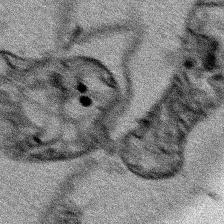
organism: Human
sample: Mitochondria in HCT116 cells